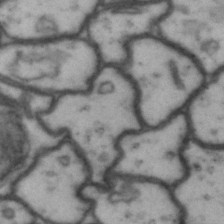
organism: Drosophila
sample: Brain